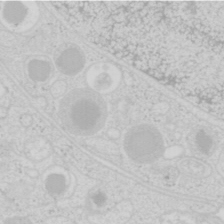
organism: Mouse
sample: Pancreas